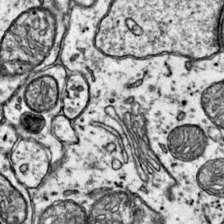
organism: Mouse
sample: Primary visual cortex